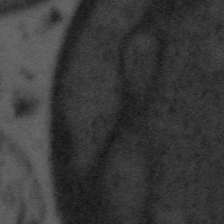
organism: Tuwongella immobilis